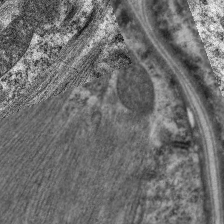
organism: C. elegans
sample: Pharynx